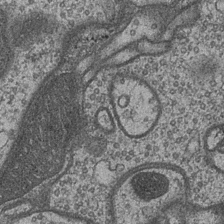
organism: Drosophila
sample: Optic medulla